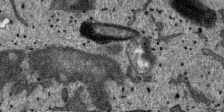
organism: Human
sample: Lung epithelial cells, uninfected (mock) control